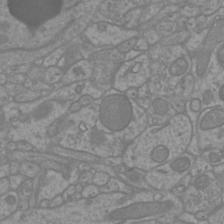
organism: Mouse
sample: Cortical neurons